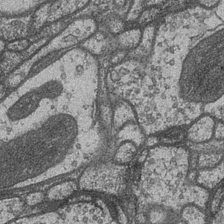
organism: Drosophila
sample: Optic medulla